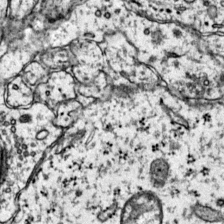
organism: Mouse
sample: Primary visual cortex